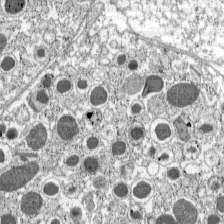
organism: C57BL Mouse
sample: Pancreatic islet